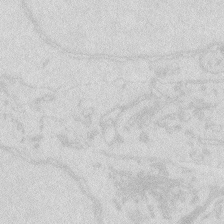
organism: Zebrafish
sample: Macrophage